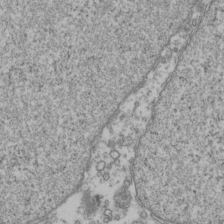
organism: Human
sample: Activated Jurkat CD4+ T cells